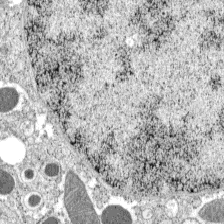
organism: C57BL Mouse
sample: Pancreatic islet